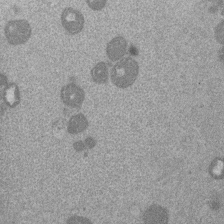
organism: Mouse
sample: Dividing mouse embryo 1 cell stage